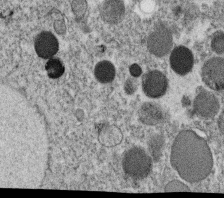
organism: C. elegans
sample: C. elegans oocyte; sperm cells